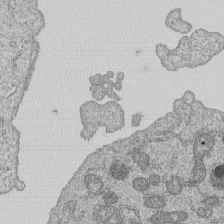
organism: Human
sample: MDA-MB-231 cells